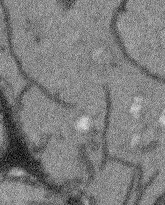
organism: Arabidopsis thaliana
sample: Root tip